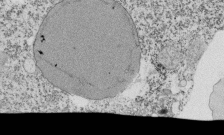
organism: Tetrahymena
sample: Cilia in tetrahymena